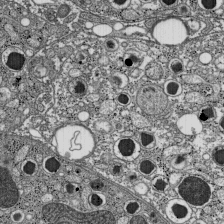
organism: C57BL Mouse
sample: Pancreatic islet